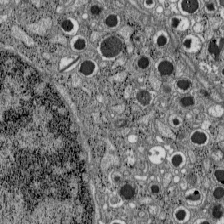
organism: C57BL Mouse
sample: Pancreatic islet